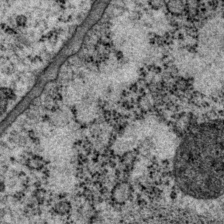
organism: P. pacificus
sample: Pharynx